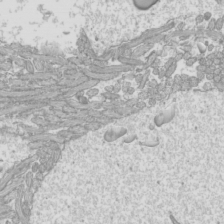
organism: Mouse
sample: Cilia; mouse epididymis